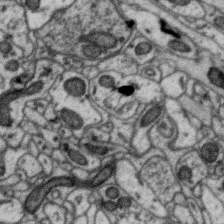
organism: Zebra finch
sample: Brain